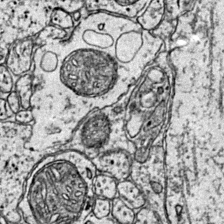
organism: Mouse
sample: Primary visual cortex